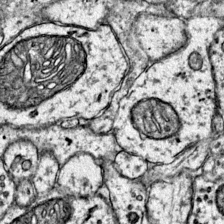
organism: Mouse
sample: Primary visual cortex